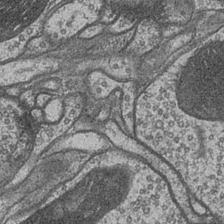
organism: Drosophila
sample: Optic medulla